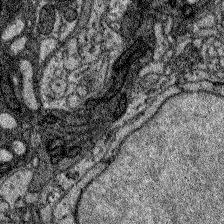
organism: Zebrafish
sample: Larval olfactory bulb